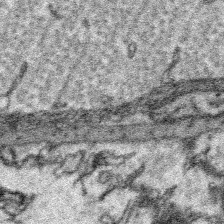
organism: Platynereis dumerilii